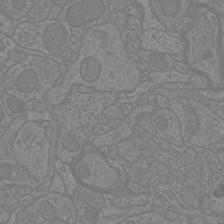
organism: Mouse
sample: Cortical neurons